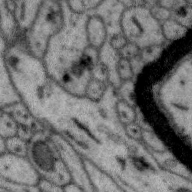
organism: Zebra finch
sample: Brain